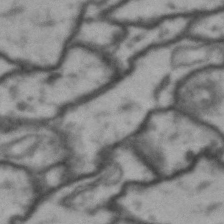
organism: Drosophila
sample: Brain